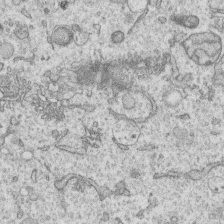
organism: Human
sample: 1205lu cells